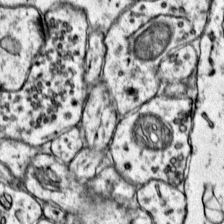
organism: Mouse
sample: Primary visual cortex